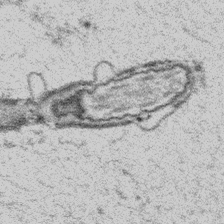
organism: Platynereis dumerilii